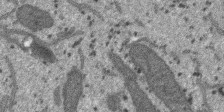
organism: Human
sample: Lung epithelial cells infected with SARS-CoV-2